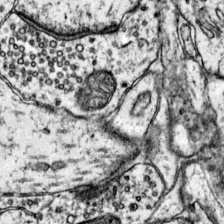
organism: Mouse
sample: Primary visual cortex